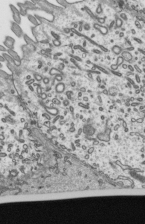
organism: Mouse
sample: Mouse epididymis efferent ductule cilia